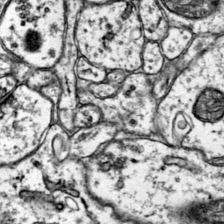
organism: Mouse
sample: Primary visual cortex